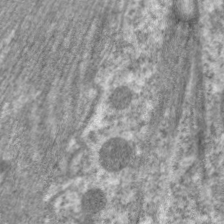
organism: C. elegans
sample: Pharynx